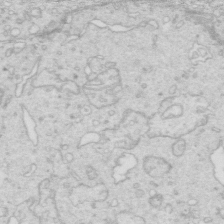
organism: Mouse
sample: Multiciliated cells